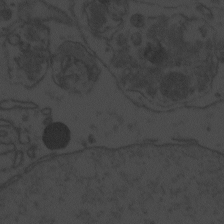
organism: Zebrafish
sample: Macrophage infected with Toxoplasma gondii